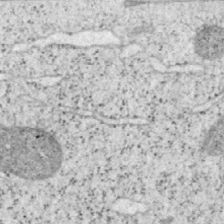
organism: Mouse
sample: OT-I killer T cells with ID8 ovarian cancer cells